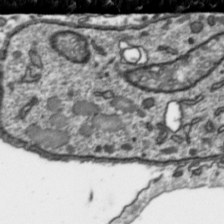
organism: Toxoplasma gondii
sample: Parasites in a vacuole inside a host cell